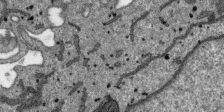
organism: Human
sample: Lung epithelial cells, uninfected (mock) control